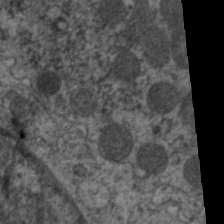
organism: C. elegans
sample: Pharynx